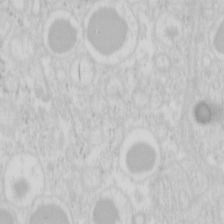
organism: Mouse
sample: Pancreas